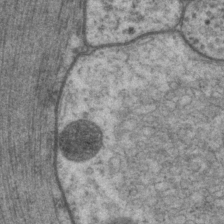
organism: P. pacificus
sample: Pharynx